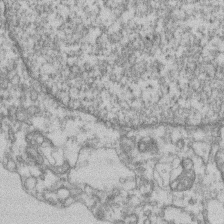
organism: Mouse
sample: T cell stromal cell synapse